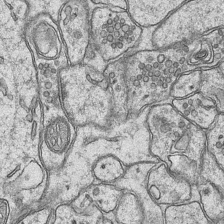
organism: Mouse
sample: CA1 Hippocampus